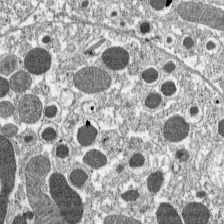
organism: C57BL Mouse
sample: Pancreatic islet